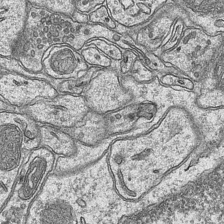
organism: Mouse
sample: CA1 Hippocampus